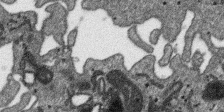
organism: Human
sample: Lung epithelial cells infected with SARS-CoV-2